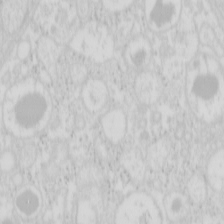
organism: Mouse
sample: Pancreas